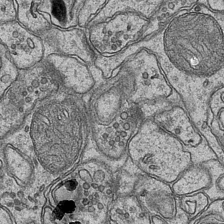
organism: Mouse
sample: CA1 Hippocampus